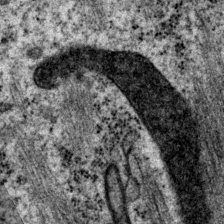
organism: P. pacificus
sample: Pharynx